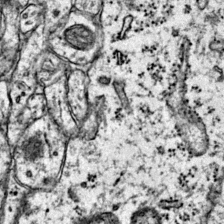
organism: Mouse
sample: Primary visual cortex